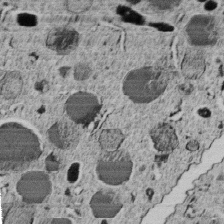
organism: C. elegans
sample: C. elegans embryo early stage